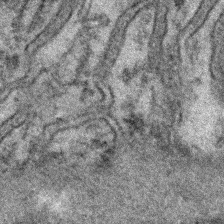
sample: Kidney